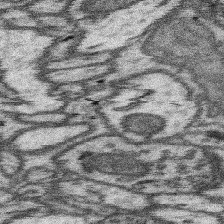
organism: Mouse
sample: Somatosensory cortex neuropil